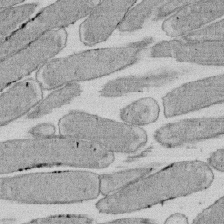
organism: E. coli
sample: Bacterial nucleoid